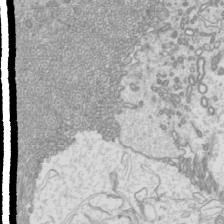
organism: Mouse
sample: Cilia; mouse epididymis